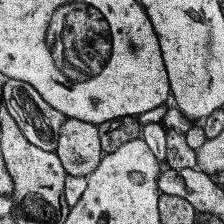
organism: Human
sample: Temporal Lobe